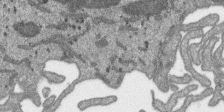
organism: Human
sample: Lung epithelial cells infected with SARS-CoV-2